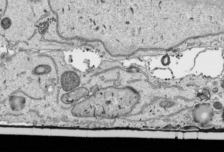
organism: Human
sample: Mitochondria in HCT116 cells